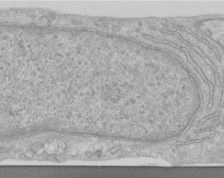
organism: Human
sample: Centriole in RPE cells